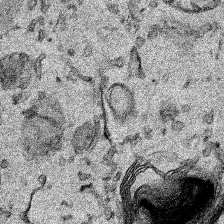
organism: Human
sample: Mitochondria in HCT116 cells